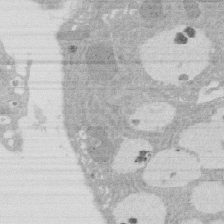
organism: Rat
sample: Salivary granule